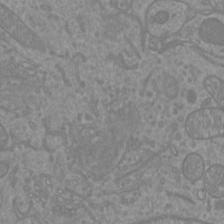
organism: Mouse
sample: Cortical neurons